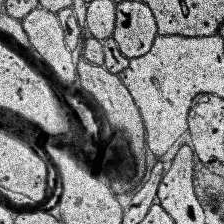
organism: Human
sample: Temporal Lobe